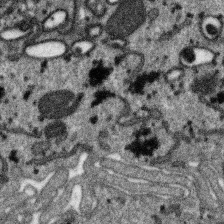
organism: Human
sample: Lung epithelial cells infected with SARS-CoV-2